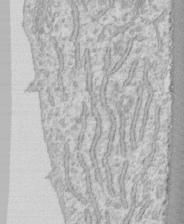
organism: Human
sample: CRL-1474